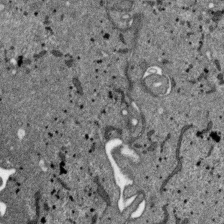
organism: Human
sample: Lung epithelial cells, uninfected (mock) control